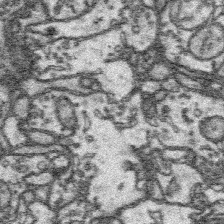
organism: Platynereis dumerilii